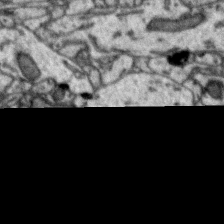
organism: Zebra finch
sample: Brain